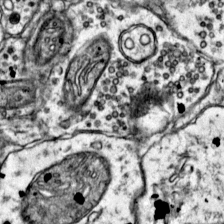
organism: Mouse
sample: Primary visual cortex